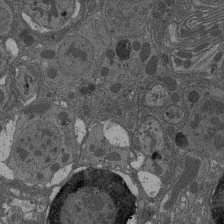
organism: Drosophila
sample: Antenna